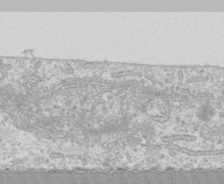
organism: Human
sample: CRL-1474